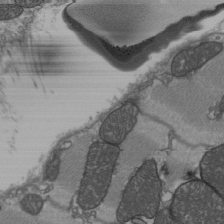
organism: C57BL Mouse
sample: Heart